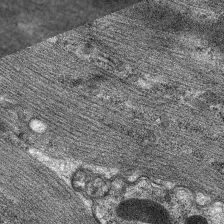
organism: C. elegans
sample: Pharynx